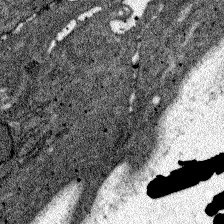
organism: Zebrafish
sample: Larval olfactory bulb